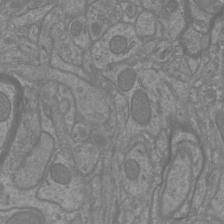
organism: Mouse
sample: Cortical neurons